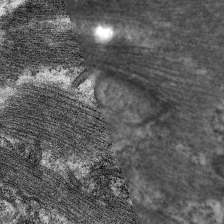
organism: C. elegans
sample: Pharynx